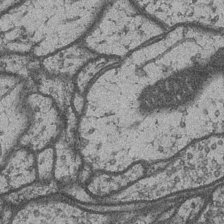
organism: Drosophila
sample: Optic medulla